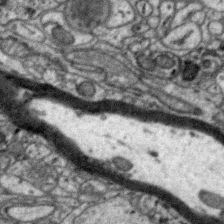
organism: Zebra finch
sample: Brain